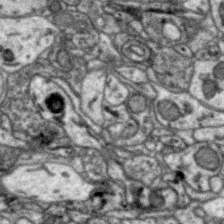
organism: Zebra finch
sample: Brain